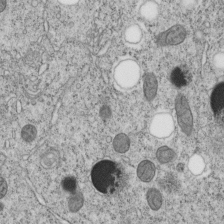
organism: C. elegans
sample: C. elegans embryo early stage